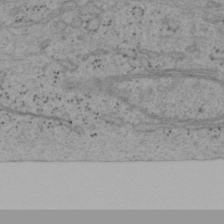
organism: Human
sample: HeLa cells